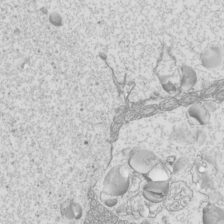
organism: Mouse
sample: Cilia; mouse epididymis